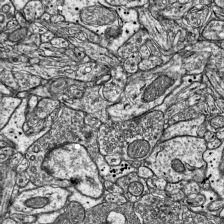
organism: Mouse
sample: Visual Cortex